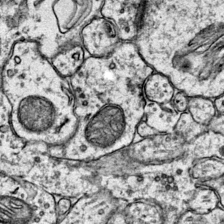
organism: Mouse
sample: Primary visual cortex